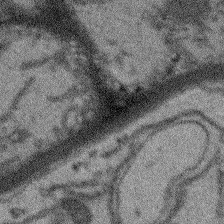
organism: Arabidopsis thaliana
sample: Root tip